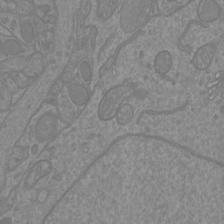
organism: Mouse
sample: Cortical neurons